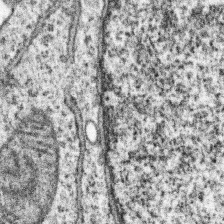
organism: Human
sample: HeLa cells